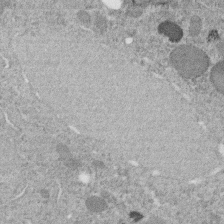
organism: C. elegans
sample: C. elegans embryo early stage